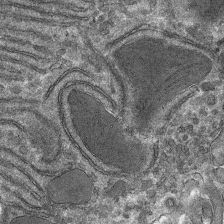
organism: Mouse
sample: Mouse hepatocytes